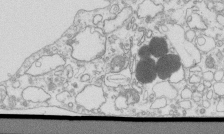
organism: Mouse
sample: Macrophages